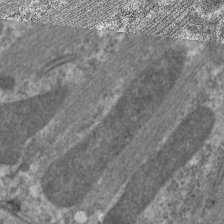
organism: C. elegans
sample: Pharynx